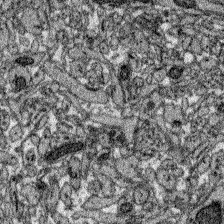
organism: Zebrafish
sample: Larval olfactory bulb